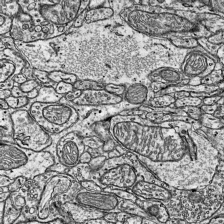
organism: Mouse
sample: Visual Cortex